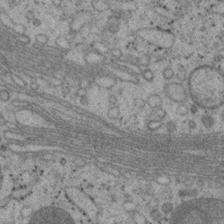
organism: Human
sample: HeLa cells